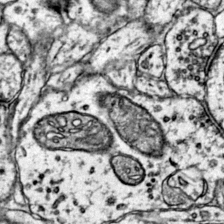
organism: Mouse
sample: Primary visual cortex